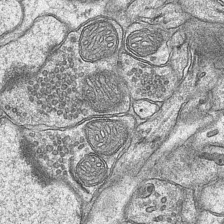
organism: Mouse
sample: CA1 Hippocampus